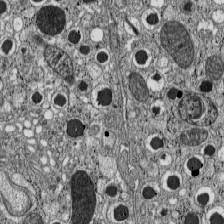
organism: C57BL Mouse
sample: Pancreatic islet